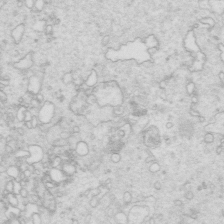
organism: Mouse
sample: Multiciliated cells